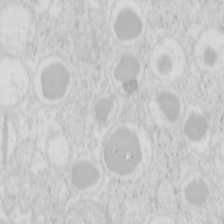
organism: Mouse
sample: Pancreas